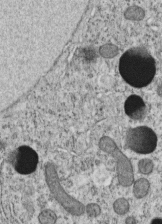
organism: C. elegans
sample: C. elegans embryo early stage